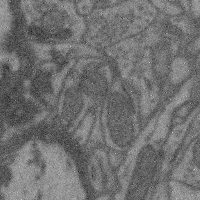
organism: Mouse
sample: Cerebral cortex